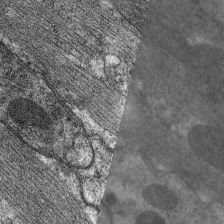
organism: C. elegans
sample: Pharynx